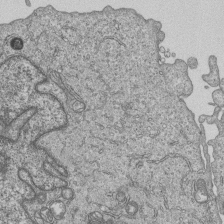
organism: Human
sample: MDA-MB-231 cells